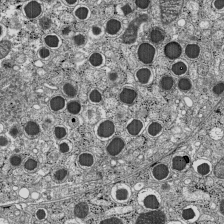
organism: C57BL Mouse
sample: Pancreatic islet